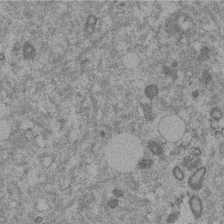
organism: Mouse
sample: Dividing mouse embryo 1 cell stage